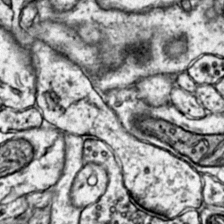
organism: Mouse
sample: Primary visual cortex